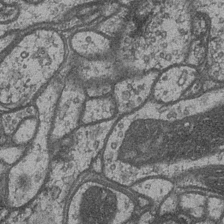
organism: Drosophila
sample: Optic medulla